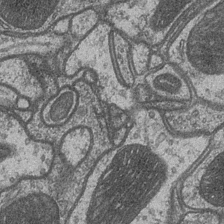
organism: Drosophila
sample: Optic medulla